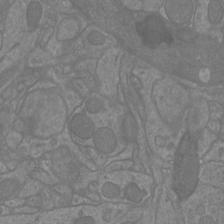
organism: Mouse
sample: Cortical neurons